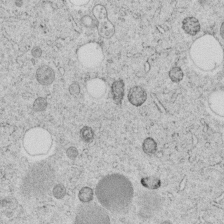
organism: C. elegans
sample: C. elegans embryo early stage